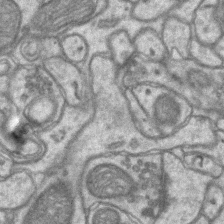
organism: Mouse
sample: CA1 Hippocampus